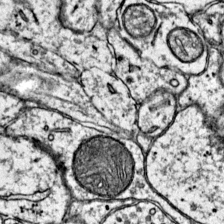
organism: Mouse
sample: Primary visual cortex